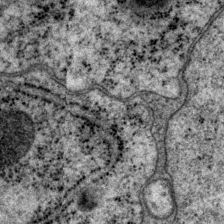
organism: P. pacificus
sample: Pharynx